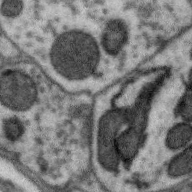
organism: Zebra finch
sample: Brain